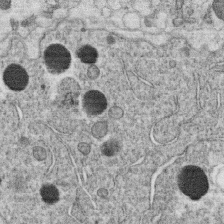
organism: C. elegans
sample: C. elegans oocyte; sperm cells